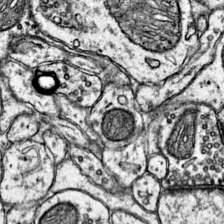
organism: Mouse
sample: Primary visual cortex